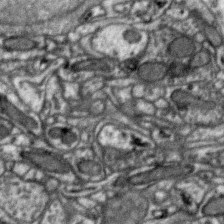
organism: Zebra finch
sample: Brain